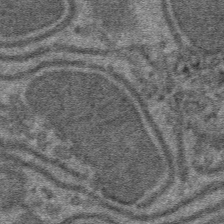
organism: Mouse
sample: Mouse hepatocytes